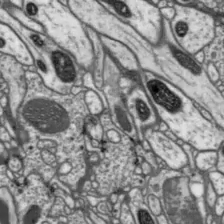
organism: Drosophila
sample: Protocerebral bridge